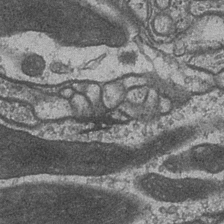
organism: Drosophila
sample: Optic medulla